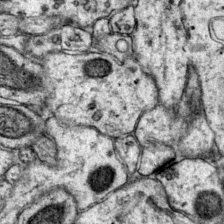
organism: Mouse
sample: Primary visual cortex